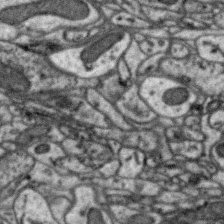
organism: Zebra finch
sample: Brain